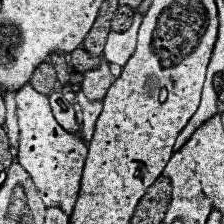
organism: Human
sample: Temporal Lobe